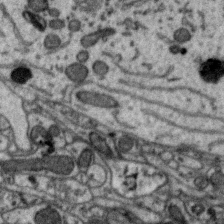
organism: Zebra finch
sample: Brain